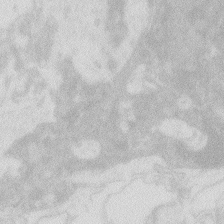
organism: Zebrafish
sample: Macrophage